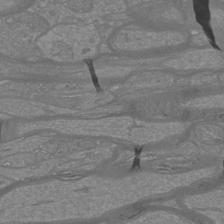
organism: Mouse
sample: Cortical neurons